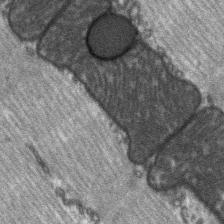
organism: C57BL Mouse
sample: Soleus